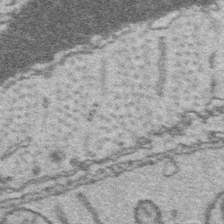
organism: Platynereis dumerilii